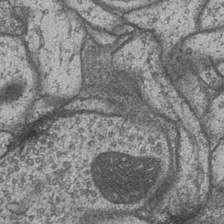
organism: Drosophila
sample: Optic medulla